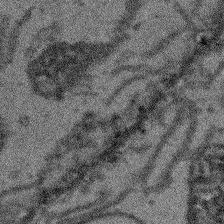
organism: Arabidopsis thaliana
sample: Root tip